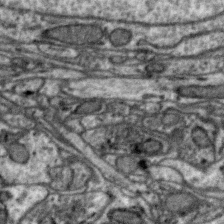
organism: Zebra finch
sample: Brain